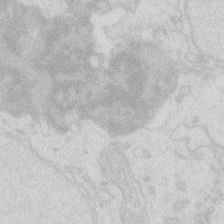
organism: Zebrafish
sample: Macrophage